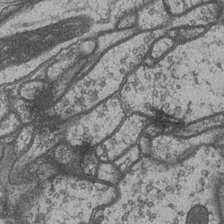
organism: Drosophila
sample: Optic medulla